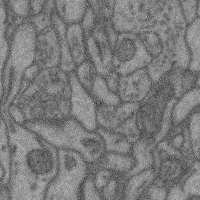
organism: Mouse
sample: Cerebral cortex